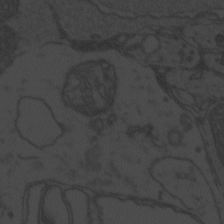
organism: Zebrafish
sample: Macrophage infected with Toxoplasma gondii